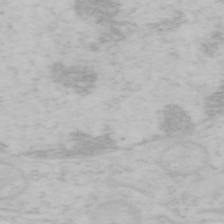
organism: Mouse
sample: OT-I killer T cells with ID8 ovarian cancer cells